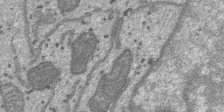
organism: Human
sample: Lung epithelial cells infected with SARS-CoV-2